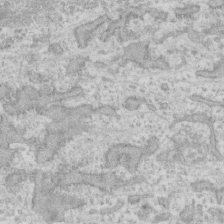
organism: Human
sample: CRL-1474